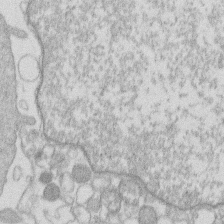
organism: Human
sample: Macrophage cells